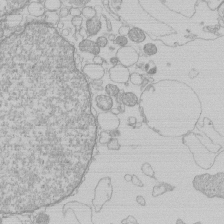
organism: Human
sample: Macrophage cells